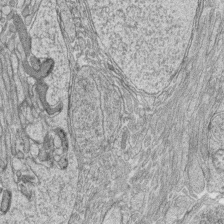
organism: Zebrafish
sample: synaptic ribbons in rod cells and cone cells